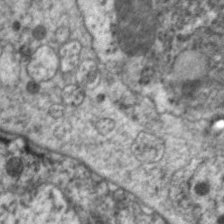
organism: C. elegans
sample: Pharynx